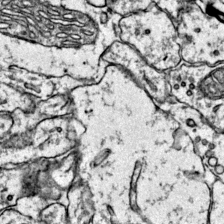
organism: Mouse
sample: Primary visual cortex